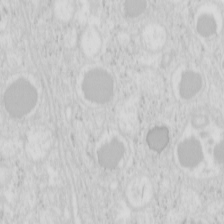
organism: Mouse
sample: Pancreas